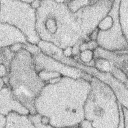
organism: Rabbit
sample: Retina